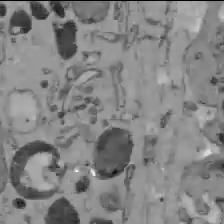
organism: C57BL Mouse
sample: Liver